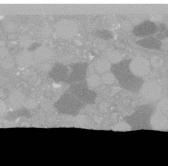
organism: C. elegans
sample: C. elegans oocyte; sperm cells